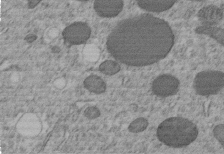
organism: C. elegans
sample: C. elegans embryo early stage